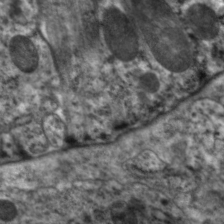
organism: C. elegans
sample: Pharynx